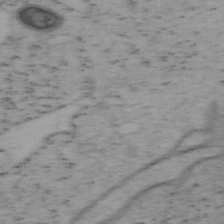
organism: Mouse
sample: OT-I killer T cells with ID8 ovarian cancer cells